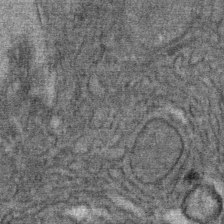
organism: Mouse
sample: Mouse Salivary gland